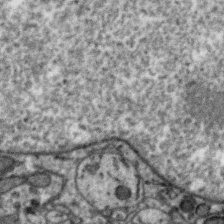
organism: Zebra finch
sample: Brain